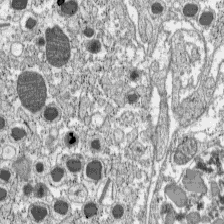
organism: C57BL Mouse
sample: Pancreatic islet